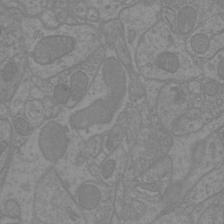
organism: Mouse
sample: Cortical neurons